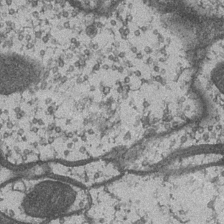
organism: Drosophila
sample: Optic medulla